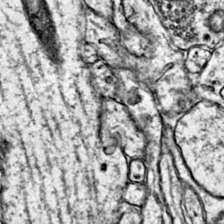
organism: Mouse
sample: Primary visual cortex